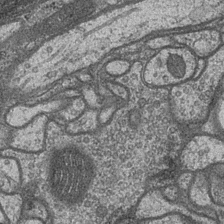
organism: Drosophila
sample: Optic medulla